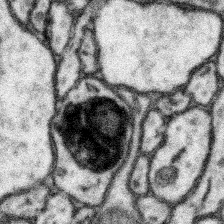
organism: Mouse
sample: Somatosensory cortex neuropil